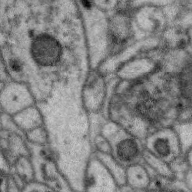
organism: Zebra finch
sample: Brain